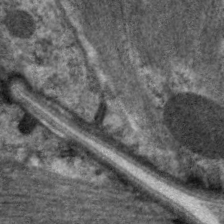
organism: C. elegans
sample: Pharynx